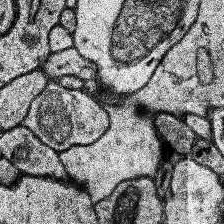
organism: Human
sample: Temporal Lobe